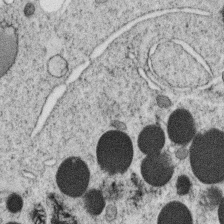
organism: C. elegans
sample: C. elegans oocyte; sperm cells